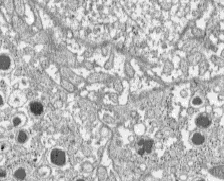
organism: C57BL Mouse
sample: Pancreatic islet